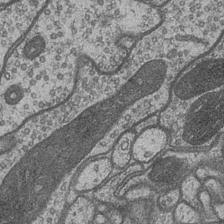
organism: Drosophila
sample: Optic medulla